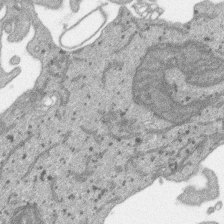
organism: Human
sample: Lung epithelial cells infected with SARS-CoV-2